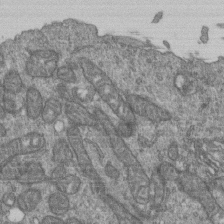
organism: Human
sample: Retinal organoid Rod and Cone cells